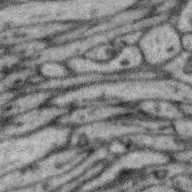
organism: Zebra finch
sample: Brain